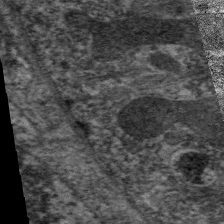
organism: C. elegans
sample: Pharynx